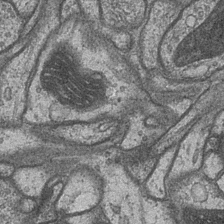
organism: Drosophila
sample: Optic medulla